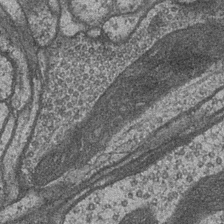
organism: Drosophila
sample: Optic medulla